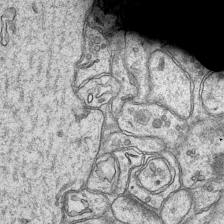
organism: Mouse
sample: CA1 Hippocampus